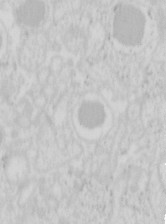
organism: Mouse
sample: Pancreas